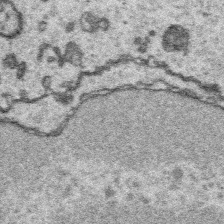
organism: Platynereis dumerilii